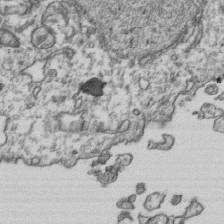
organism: Human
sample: Activated Jurkat CD4+ T cells